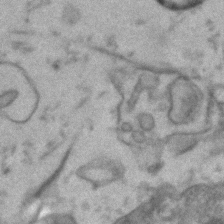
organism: Human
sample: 1205lu cells